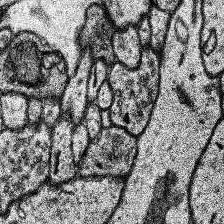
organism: Human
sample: Temporal Lobe